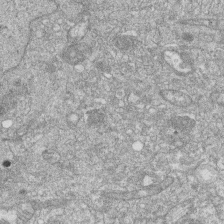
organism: Human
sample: HeLa cell HIV synapse